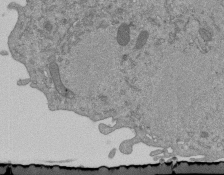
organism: Mouse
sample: ED-1 cell nuclei; centrioles